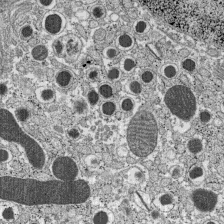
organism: C57BL Mouse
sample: Pancreatic islet